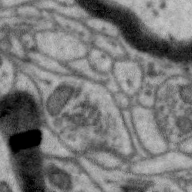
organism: Zebra finch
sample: Brain